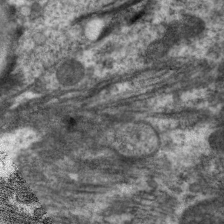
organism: C. elegans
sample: Pharynx